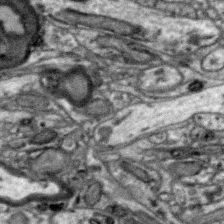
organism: Zebra finch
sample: Brain